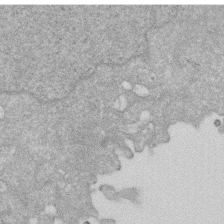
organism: Human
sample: HIV infected U937 cells